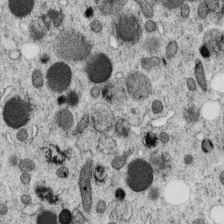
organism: C. elegans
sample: C. elegans oocyte; sperm cells